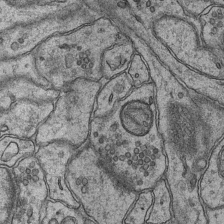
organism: Mouse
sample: CA1 Hippocampus